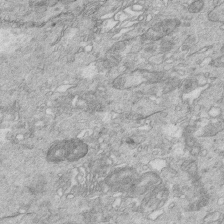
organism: Mouse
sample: Multiciliated cells